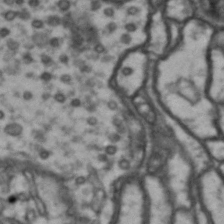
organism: Drosophila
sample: Brain